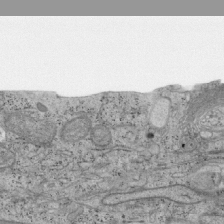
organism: Human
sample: HeLa cells